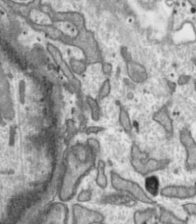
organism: Toxoplasma gondii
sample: Parasites in a vacuole inside a host cell